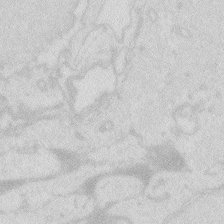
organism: Zebrafish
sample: Macrophage